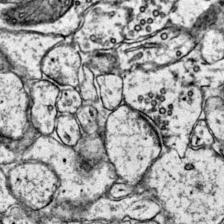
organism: Mouse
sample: Primary visual cortex